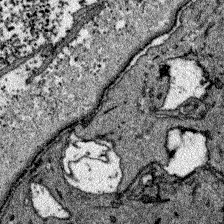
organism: Zebrafish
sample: Larval olfactory bulb